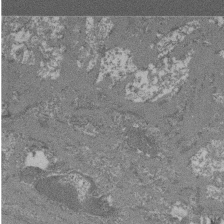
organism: Mouse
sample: Glomerulus